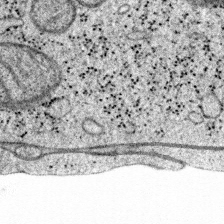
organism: Human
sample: HeLa cells